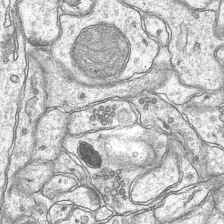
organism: Mouse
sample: CA1 Hippocampus